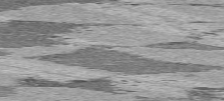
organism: C57BL Mouse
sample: Heart